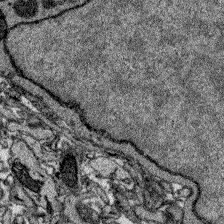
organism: Zebrafish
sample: Larval olfactory bulb